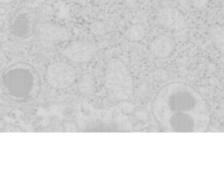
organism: Mouse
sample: Pancreas